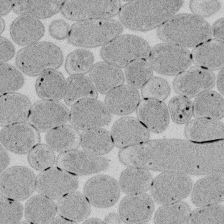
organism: E. coli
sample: Bacterial nucleoid